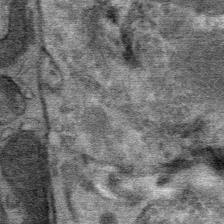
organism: Mouse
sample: Mouse Salivary gland